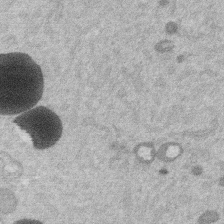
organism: Mouse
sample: Dividing mouse embryo 1 cell stage